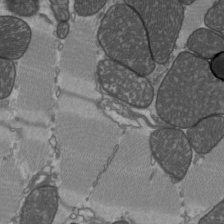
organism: C57BL Mouse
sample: Heart